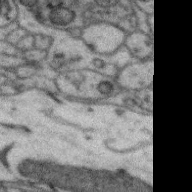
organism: Zebra finch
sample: Brain